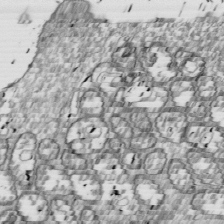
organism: Drosophila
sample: Cell division; meiosis; drosophila spermatocytes